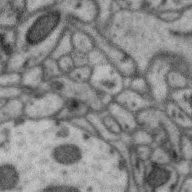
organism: Zebra finch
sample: Brain